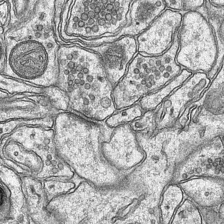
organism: Mouse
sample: CA1 Hippocampus